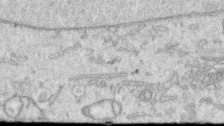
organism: Human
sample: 1205lu cells